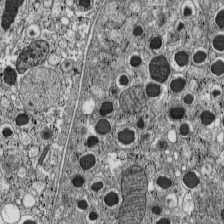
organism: C57BL Mouse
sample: Pancreatic islet